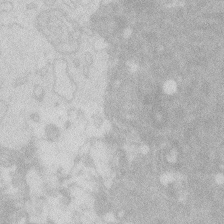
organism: Zebrafish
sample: Macrophage